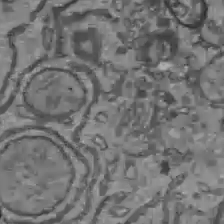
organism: C57BL Mouse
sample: Liver